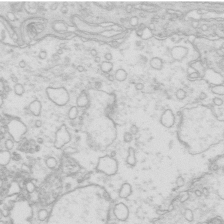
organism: Mouse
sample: Multiciliated cells